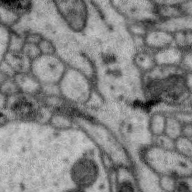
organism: Zebra finch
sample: Brain